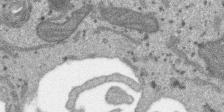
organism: Human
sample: Lung epithelial cells infected with SARS-CoV-2